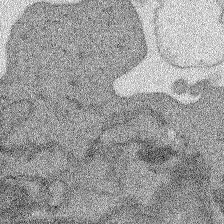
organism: Human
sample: HeLa cells